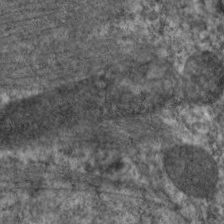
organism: C. elegans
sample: Pharynx